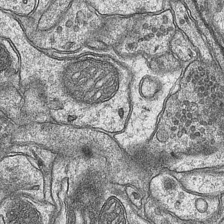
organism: Mouse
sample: CA1 Hippocampus